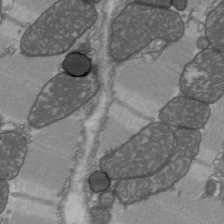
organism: C57BL Mouse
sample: Heart